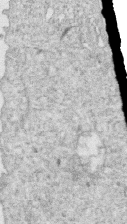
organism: Human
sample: HeLa cell HIV synapse